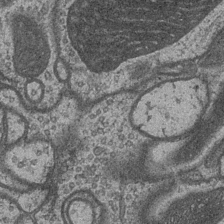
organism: Drosophila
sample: Optic medulla